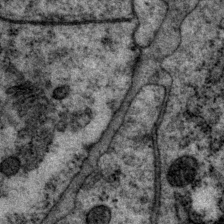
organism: P. pacificus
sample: Pharynx